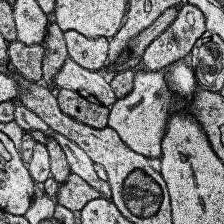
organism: Human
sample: Temporal Lobe